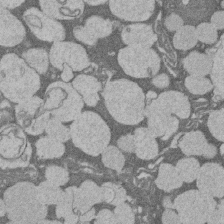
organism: Rat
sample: Salivary granule